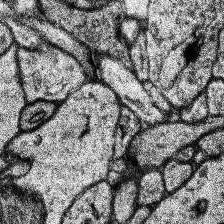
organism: Human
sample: Temporal Lobe